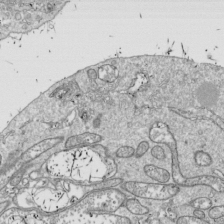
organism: Drosophila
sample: Cell division; meiosis; drosophila spermatocytes